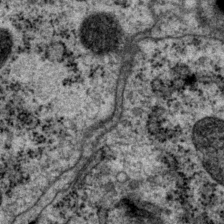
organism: P. pacificus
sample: Pharynx